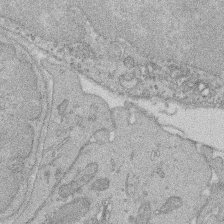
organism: Rat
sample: Salivary granule